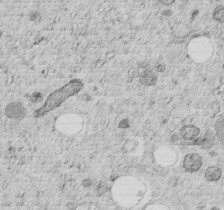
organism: C. elegans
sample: C. elegans embryo early stage